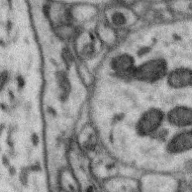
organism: Zebra finch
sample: Brain